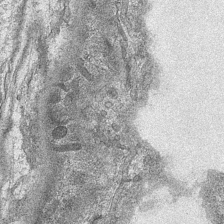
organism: Mouse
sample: CA1 Hippocampus